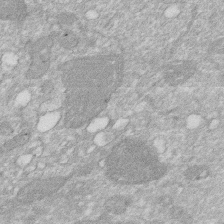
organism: Human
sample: HIV infected U937 cells